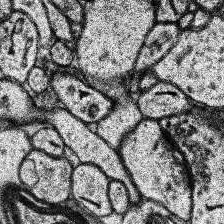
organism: Human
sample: Temporal Lobe